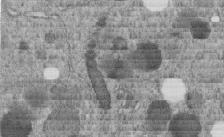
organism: C. elegans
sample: C. elegans embryo early stage